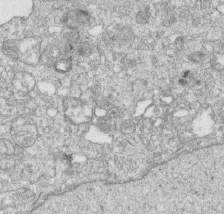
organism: Human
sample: HeLa cell HIV synapse